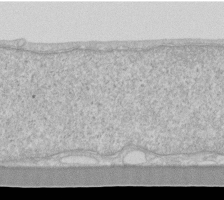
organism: Human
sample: Fibroblast cells